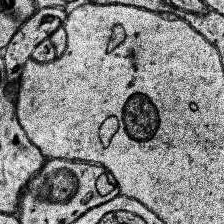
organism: Human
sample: Temporal Lobe